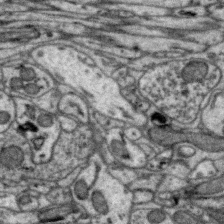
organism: Zebra finch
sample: Brain